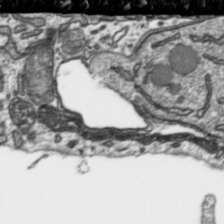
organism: Toxoplasma gondii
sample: Parasites in a vacuole inside a host cell